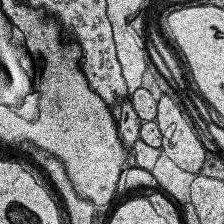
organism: Human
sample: Temporal Lobe